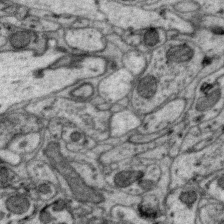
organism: Zebra finch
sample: Brain